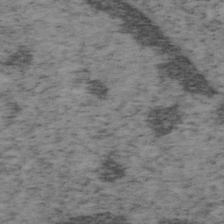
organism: Mouse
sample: OT-I killer T cells with ID8 ovarian cancer cells